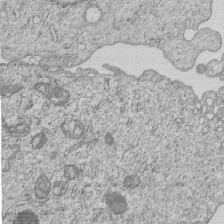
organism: Human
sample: MDA-MB-231 cells